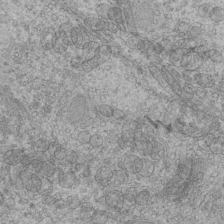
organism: Mouse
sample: Cilia; mouse epididymis